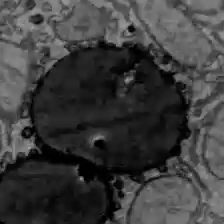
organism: C57BL Mouse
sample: Liver